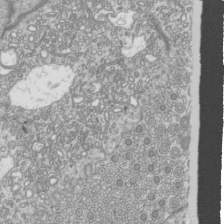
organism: Mouse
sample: Cilia; mouse epididymis